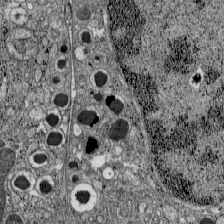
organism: C57BL Mouse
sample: Pancreatic islet